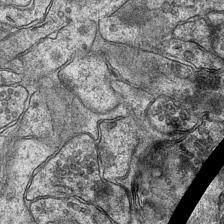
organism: Mouse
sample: CA1 Hippocampus